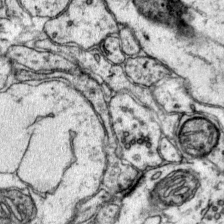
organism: Mouse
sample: Primary visual cortex